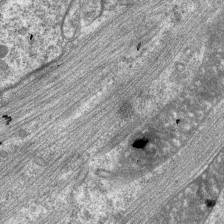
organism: C. elegans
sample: Pharynx